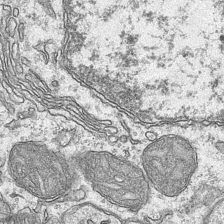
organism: Mouse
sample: CA1 Hippocampus